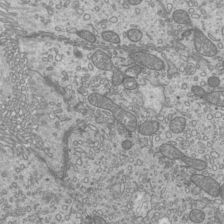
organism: Mouse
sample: Cilia; mouse epididymis